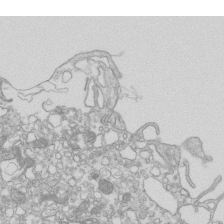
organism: Mouse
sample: Macrophages